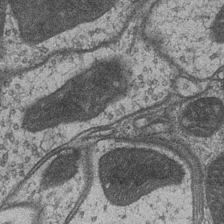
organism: Drosophila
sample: Optic medulla